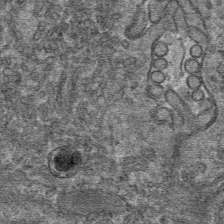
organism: Mouse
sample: Mouse hepatocytes